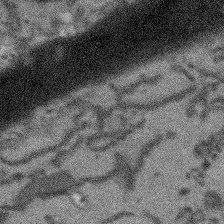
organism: Arabidopsis thaliana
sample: Root tip